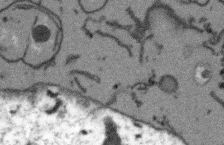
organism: Arabidopsis thaliana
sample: Root tip